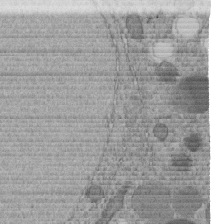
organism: C. elegans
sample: C. elegans embryo early stage